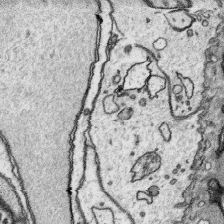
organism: Platynereis dumerilii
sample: Parapodia